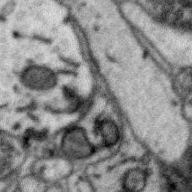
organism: Zebra finch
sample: Brain